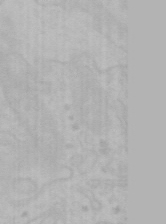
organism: Mouse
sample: Choroid plexus